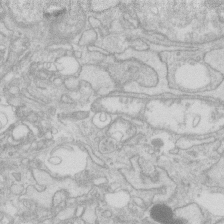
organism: Human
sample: Fibroblast cells